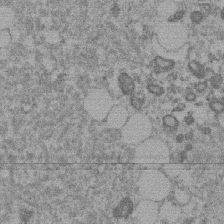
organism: Mouse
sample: Dividing mouse embryo 1 cell stage